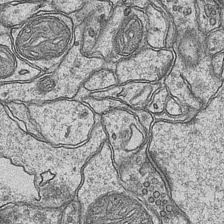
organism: Mouse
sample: CA1 Hippocampus